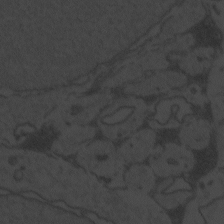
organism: Zebrafish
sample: Macrophage infected with Toxoplasma gondii